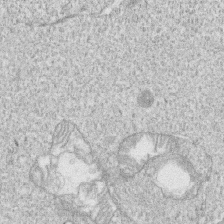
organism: Human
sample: HeLa cell HIV synapse